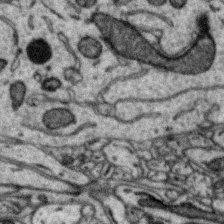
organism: Zebra finch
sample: Brain